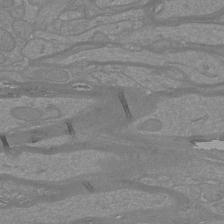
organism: Mouse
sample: Cortical neurons